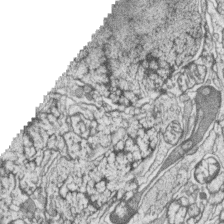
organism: Zebrafish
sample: synaptic ribbons in rod cells and cone cells